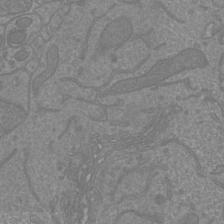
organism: Mouse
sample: Cortical neurons